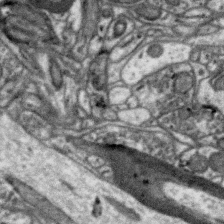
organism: Zebra finch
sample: Brain